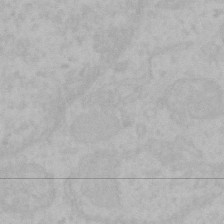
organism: Mouse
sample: Choroid plexus